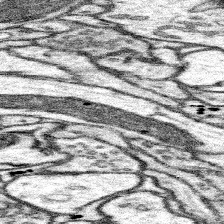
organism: Mouse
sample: Somatosensory cortex neuropil